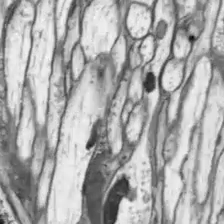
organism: Drosophila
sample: Optic lobe